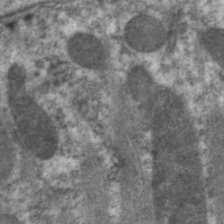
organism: C. elegans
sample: Pharynx